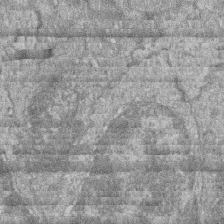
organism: Zebrafish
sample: Cilia; retinal pigment epithelium